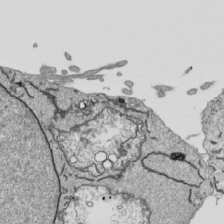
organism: Human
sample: Mitochondria in HCT116 cells